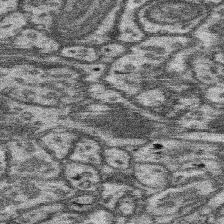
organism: Mouse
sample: Somatosensory cortex neuropil